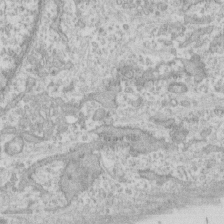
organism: Human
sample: CRL-1474